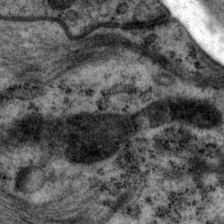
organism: P. pacificus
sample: Pharynx